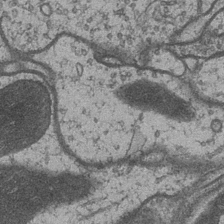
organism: Drosophila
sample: Optic medulla